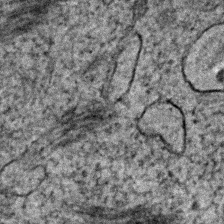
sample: Trachea